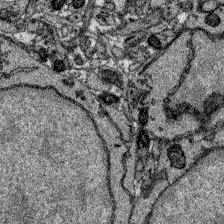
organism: Zebrafish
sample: Larval olfactory bulb